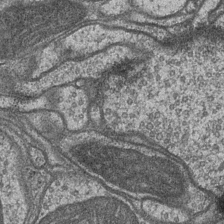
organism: Drosophila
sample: Optic medulla